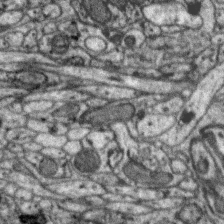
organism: Zebra finch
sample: Brain